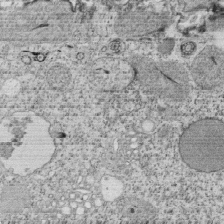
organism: Tetrahymena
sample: Cilia in tetrahymena